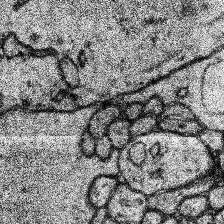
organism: Human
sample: Temporal Lobe